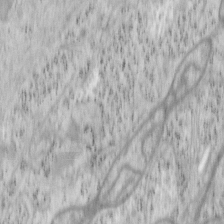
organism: Human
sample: HeLa cells